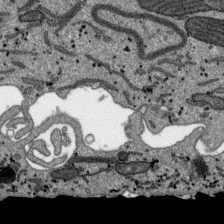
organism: Human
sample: Lung epithelial cells, uninfected (mock) control